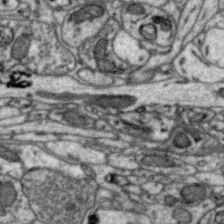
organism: Zebra finch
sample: Brain